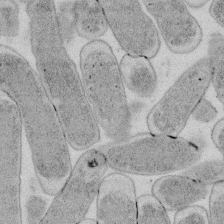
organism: E. coli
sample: Bacterial nucleoid